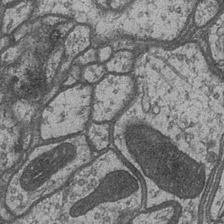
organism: Drosophila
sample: Optic medulla